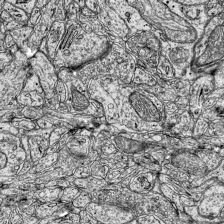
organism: Mouse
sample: Visual Cortex